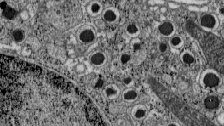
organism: C57BL Mouse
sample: Pancreatic islet